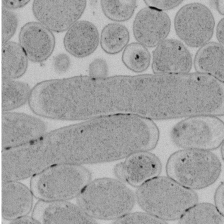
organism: E. coli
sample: Bacterial nucleoid